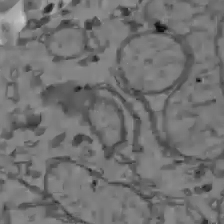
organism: C57BL Mouse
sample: Liver